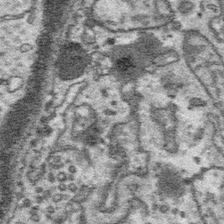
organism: Platynereis dumerilii